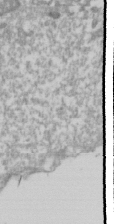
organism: Drosophila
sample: Cell division; meiosis; drosophila spermatocytes